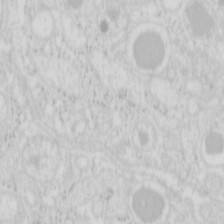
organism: Mouse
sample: Pancreas